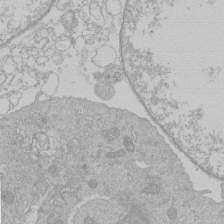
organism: Human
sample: Macrophage cells